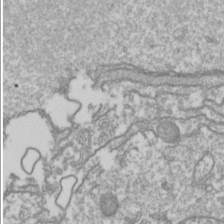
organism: Drosophila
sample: Cell division; meiosis; drosophila spermatocytes